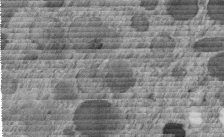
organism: C. elegans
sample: C. elegans embryo early stage